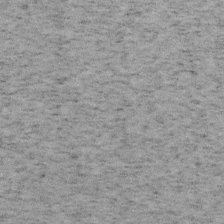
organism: Mouse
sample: OT-I killer T cells with ID8 ovarian cancer cells